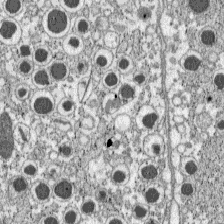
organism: C57BL Mouse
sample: Pancreatic islet